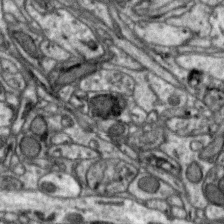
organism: Zebra finch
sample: Brain